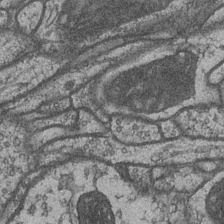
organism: Drosophila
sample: Optic medulla